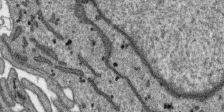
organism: Human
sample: Lung epithelial cells, uninfected (mock) control